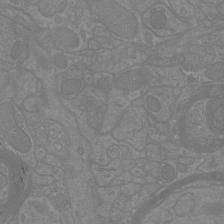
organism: Mouse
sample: Cortical neurons